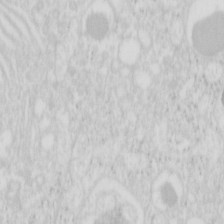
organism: Mouse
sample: Pancreas